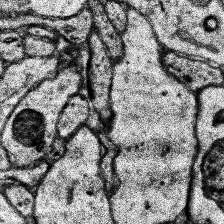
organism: Human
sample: Temporal Lobe